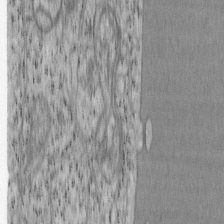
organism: Human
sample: HeLa cells